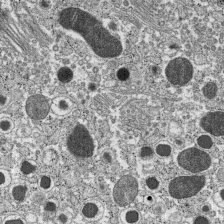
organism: C57BL Mouse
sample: Pancreatic islet